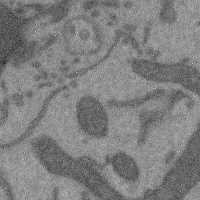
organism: Mouse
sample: Cerebral cortex